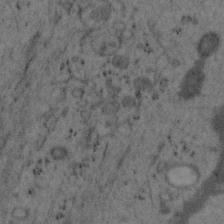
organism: Human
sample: HeLa cells